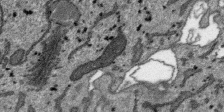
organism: Human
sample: Lung epithelial cells, uninfected (mock) control